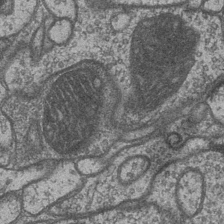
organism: Drosophila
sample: Optic medulla